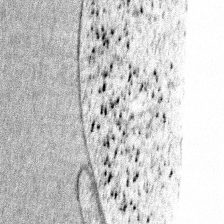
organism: Human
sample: HeLa cells